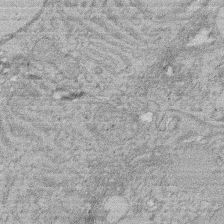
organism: Rat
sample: Salivary granule